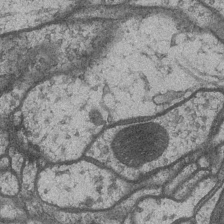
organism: Drosophila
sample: Optic medulla